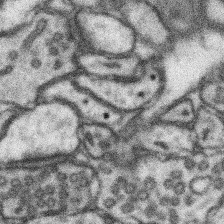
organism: Mouse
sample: Somatosensory cortex neuropil